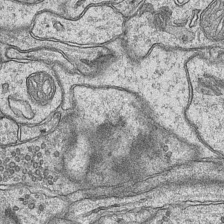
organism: Mouse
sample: CA1 Hippocampus